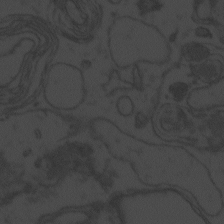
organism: Zebrafish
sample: Macrophage infected with Toxoplasma gondii